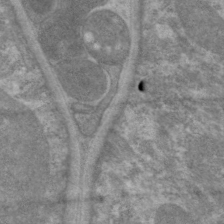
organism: C. elegans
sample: Pharynx